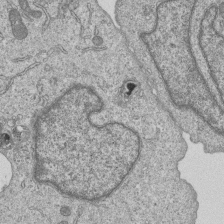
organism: Human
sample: MDA-MB-231 cells